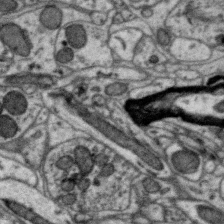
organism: Zebra finch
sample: Brain